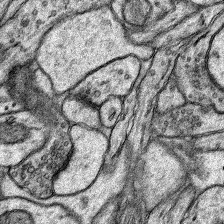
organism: Rat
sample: Hippocampus